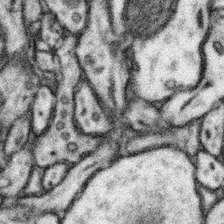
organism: Mouse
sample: Somatosensory cortex neuropil